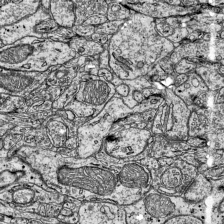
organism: Mouse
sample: Visual Cortex